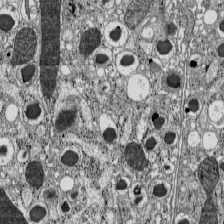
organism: C57BL Mouse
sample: Pancreatic islet